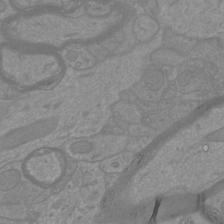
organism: Mouse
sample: Cortical neurons